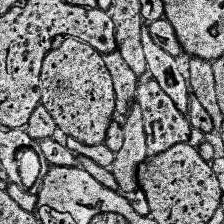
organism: Human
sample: Temporal Lobe